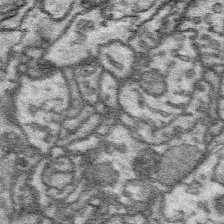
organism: Platynereis dumerilii